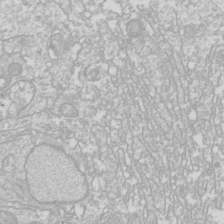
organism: Drosophila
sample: Cell division; meiosis; drosophila spermatocytes